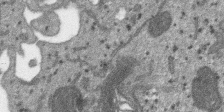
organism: Human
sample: Lung epithelial cells infected with SARS-CoV-2